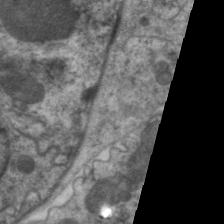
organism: C. elegans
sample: Pharynx